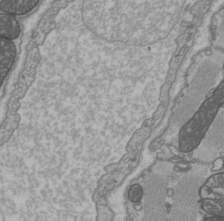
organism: C57BL Mouse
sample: Heart